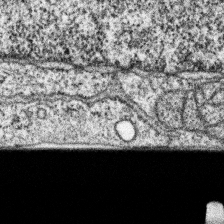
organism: Human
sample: HeLa cells